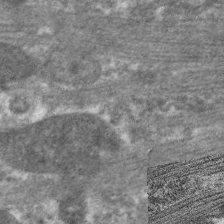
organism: C. elegans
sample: Pharynx